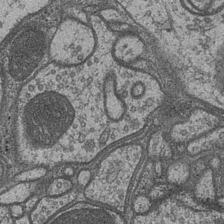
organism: Drosophila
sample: Optic medulla